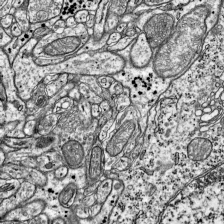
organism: Mouse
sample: Visual Cortex